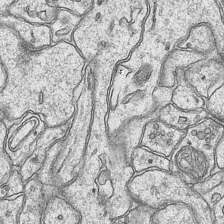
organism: Mouse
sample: CA1 Hippocampus